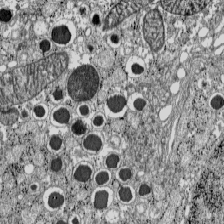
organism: C57BL Mouse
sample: Pancreatic islet